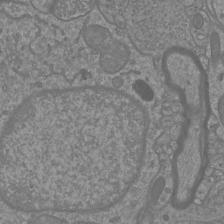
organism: Mouse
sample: Cortical neurons